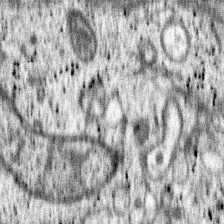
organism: Human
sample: HeLa cells